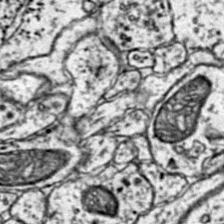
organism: Mouse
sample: Primary visual cortex